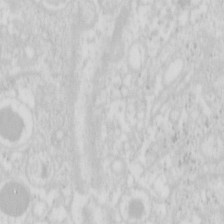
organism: Mouse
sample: Pancreas